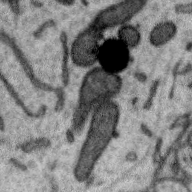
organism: Zebra finch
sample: Brain